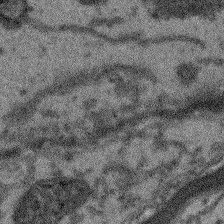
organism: Arabidopsis thaliana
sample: Root tip